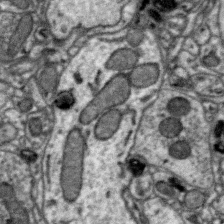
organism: Zebra finch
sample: Brain